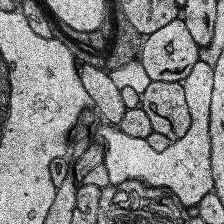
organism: Human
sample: Temporal Lobe